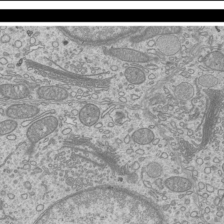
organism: Mouse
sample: Cilia; mouse epididymis